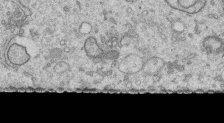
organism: Human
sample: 1205lu cells